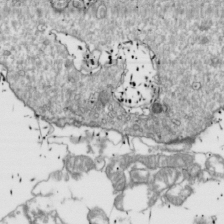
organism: Drosophila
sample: Cell division; meiosis; drosophila spermatocytes